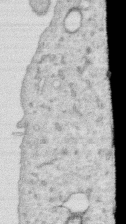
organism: Human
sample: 1205lu cells